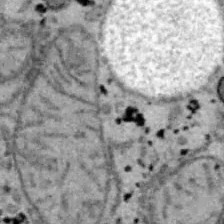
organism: Mouse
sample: Liver from an obese (ob/ob) mouse